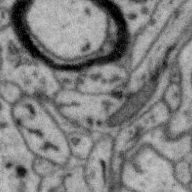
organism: Zebra finch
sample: Brain